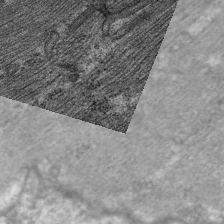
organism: C. elegans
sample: Pharynx